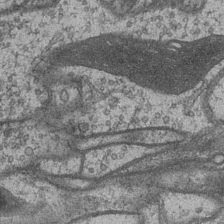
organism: Drosophila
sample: Optic medulla